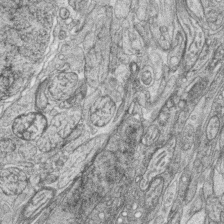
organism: Zebrafish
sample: synaptic ribbons in rod cells and cone cells